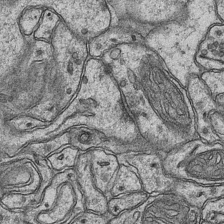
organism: Mouse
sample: CA1 Hippocampus